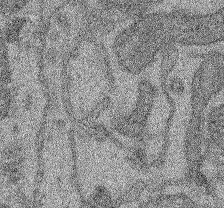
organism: Human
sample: HeLa cells